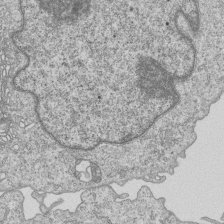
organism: Human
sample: MDA-MB-231 cells